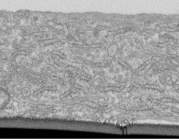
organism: Human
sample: Centriole in fibroblast cells